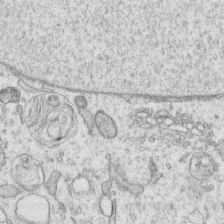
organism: Human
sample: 1205lu cells